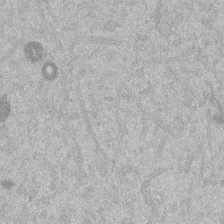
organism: Mouse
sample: Dividing mouse embryo 1 cell stage